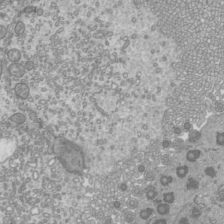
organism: Mouse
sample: Cilia; mouse epididymis